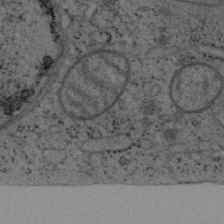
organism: Human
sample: HeLa cells